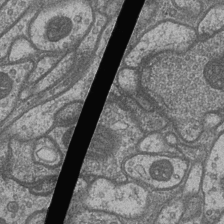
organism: Drosophila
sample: Optic medulla